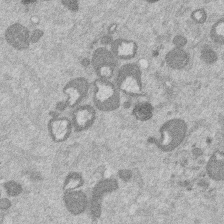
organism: Mouse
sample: Dividing mouse embryo 1 cell stage